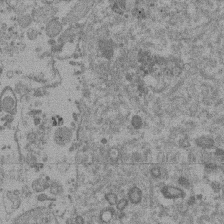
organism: Mouse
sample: Dividing mouse embryo 1 cell stage